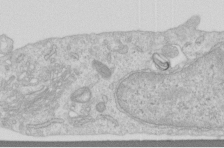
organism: Human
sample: Centriole in RPE cells